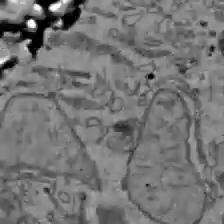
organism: C57BL Mouse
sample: Liver